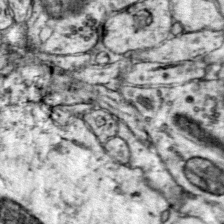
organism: Mouse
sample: Primary visual cortex